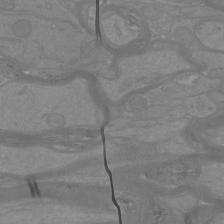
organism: Mouse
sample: Cortical neurons